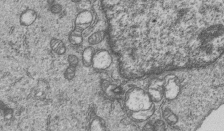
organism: Human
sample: MDA-MB-231 cells